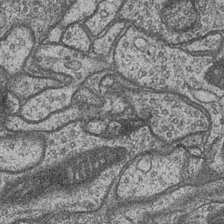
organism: Drosophila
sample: Optic medulla